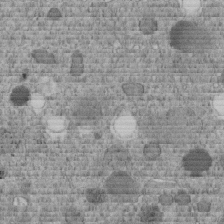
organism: C. elegans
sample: C. elegans embryo early stage